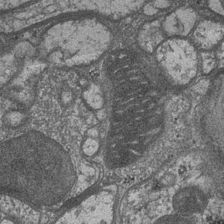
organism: Drosophila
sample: Optic medulla